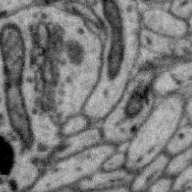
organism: Zebra finch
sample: Brain